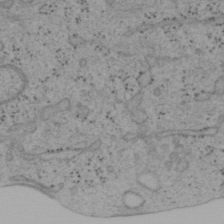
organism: Human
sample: HeLa cells